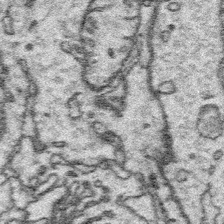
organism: Platynereis dumerilii